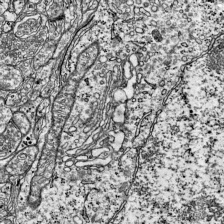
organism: Mouse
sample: Visual Cortex